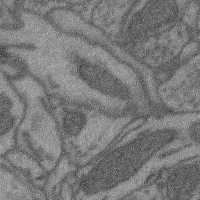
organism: Mouse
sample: Cerebral cortex